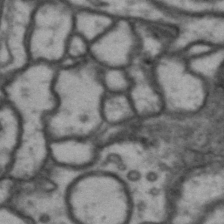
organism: Drosophila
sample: Brain